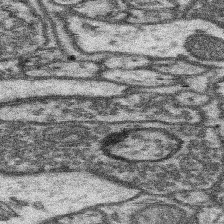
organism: Mouse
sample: Somatosensory cortex neuropil